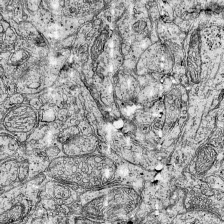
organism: Mouse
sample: Visual Cortex